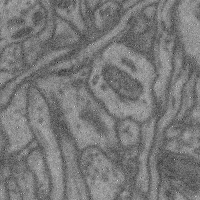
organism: Mouse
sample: Cerebral cortex